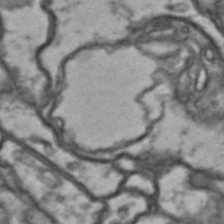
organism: Drosophila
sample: Brain